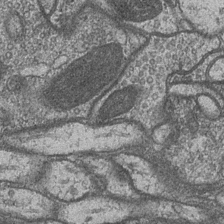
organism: Drosophila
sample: Optic medulla